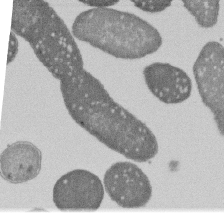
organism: E. coli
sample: Bacterial nucleoid